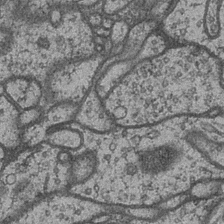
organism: Drosophila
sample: Optic medulla